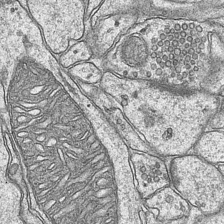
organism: Mouse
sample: CA1 Hippocampus